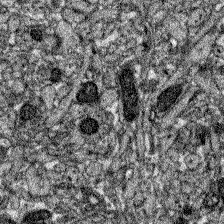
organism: Zebrafish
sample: Larval olfactory bulb